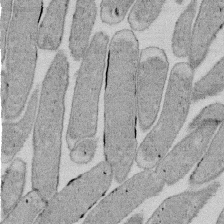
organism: E. coli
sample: Bacterial nucleoid